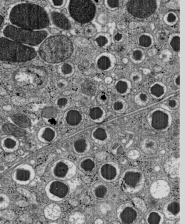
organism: C57BL Mouse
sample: Pancreatic islet